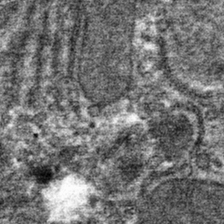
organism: Mouse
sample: Mouse hepatocytes